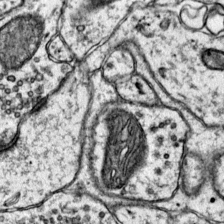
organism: Mouse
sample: Primary visual cortex